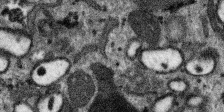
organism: Human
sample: Lung epithelial cells infected with SARS-CoV-2